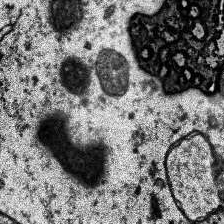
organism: Human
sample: Temporal Lobe